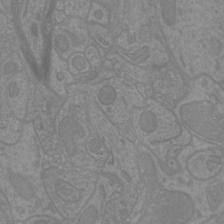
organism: Mouse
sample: Cortical neurons